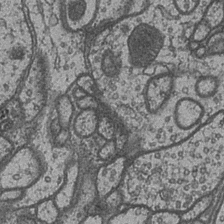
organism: Drosophila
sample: Optic medulla